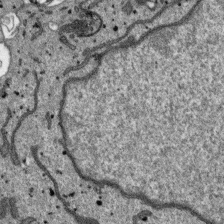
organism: Human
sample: Lung epithelial cells, uninfected (mock) control